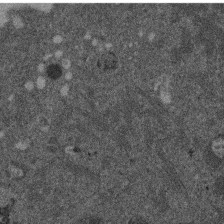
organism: Mouse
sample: Dividing mouse embryo 1 cell stage